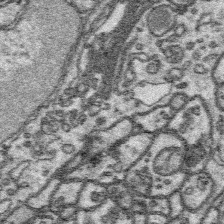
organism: Platynereis dumerilii